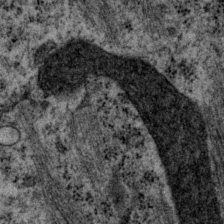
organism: P. pacificus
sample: Pharynx